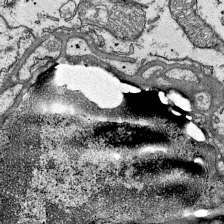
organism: Mouse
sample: Visual Cortex